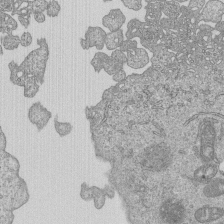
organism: Human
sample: MDA-MB-231 cells